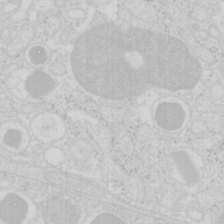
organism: Mouse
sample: Pancreas